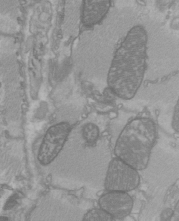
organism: C57BL Mouse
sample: Heart